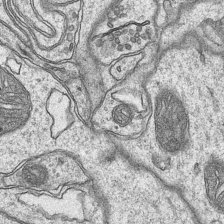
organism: Mouse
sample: CA1 Hippocampus